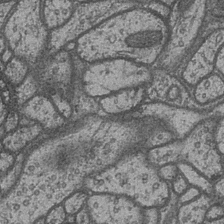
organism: Drosophila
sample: Optic medulla